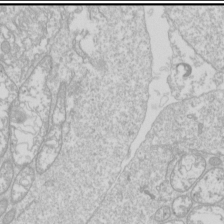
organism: Drosophila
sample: Cell division; meiosis; drosophila spermatocytes